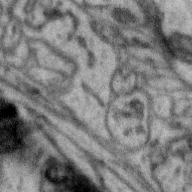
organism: Zebra finch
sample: Brain